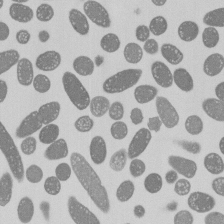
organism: E. coli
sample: Bacterial nucleoid